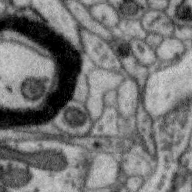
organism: Zebra finch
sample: Brain